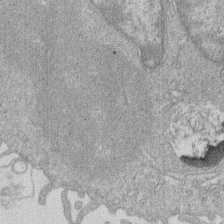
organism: Human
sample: Macrophage cells